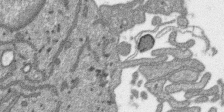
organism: Human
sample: Lung epithelial cells infected with SARS-CoV-2